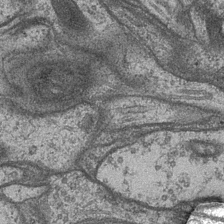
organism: Drosophila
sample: Optic medulla